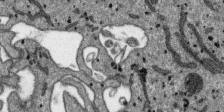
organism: Human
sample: Lung epithelial cells, uninfected (mock) control